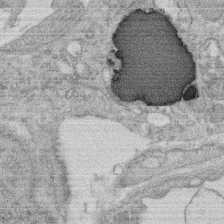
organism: Rat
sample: Salivary granule